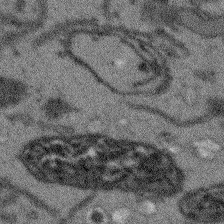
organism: Arabidopsis thaliana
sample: Root tip